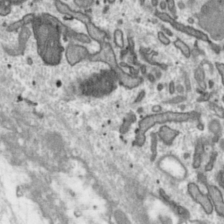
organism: Toxoplasma gondii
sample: Parasites in a vacuole inside a host cell